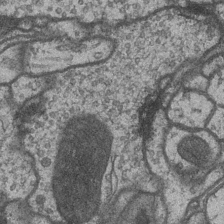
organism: Drosophila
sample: Optic medulla